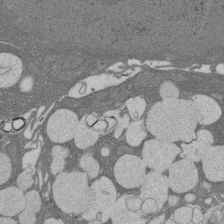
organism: Rat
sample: Salivary granule